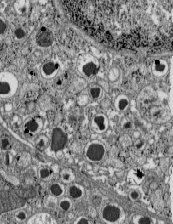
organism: C57BL Mouse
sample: Pancreatic islet